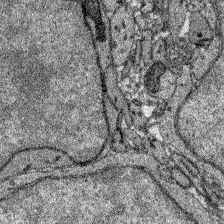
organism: Zebrafish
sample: Larval olfactory bulb